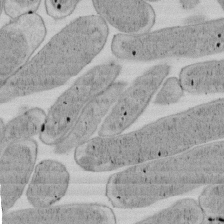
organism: E. coli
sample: Bacterial nucleoid